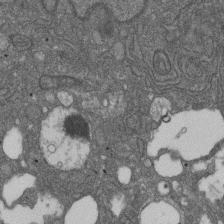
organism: Drosophila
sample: Nephrocyte